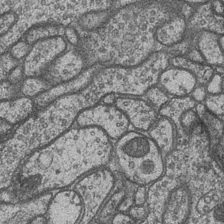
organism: Drosophila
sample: Optic medulla